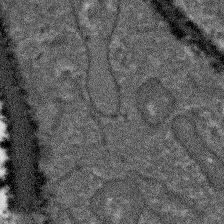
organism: Arabidopsis thaliana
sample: Root tip